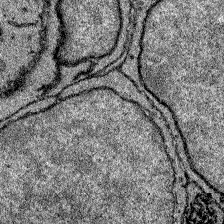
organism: Zebrafish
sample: Larval olfactory bulb